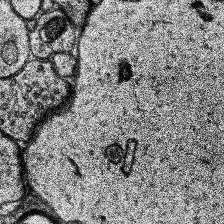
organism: Human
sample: Temporal Lobe